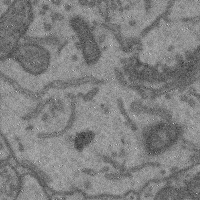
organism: Mouse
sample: Cerebral cortex